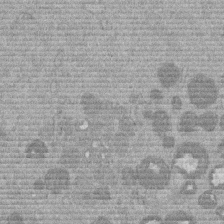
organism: Mouse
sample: Dividing mouse embryo 1 cell stage